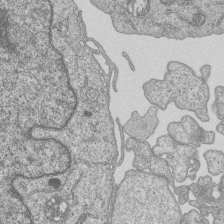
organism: Human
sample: MDA-MB-231 cells